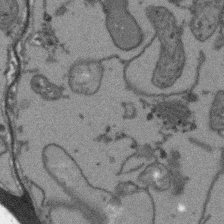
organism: Arabidopsis thaliana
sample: Root tip